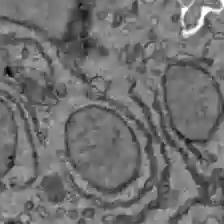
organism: C57BL Mouse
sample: Liver